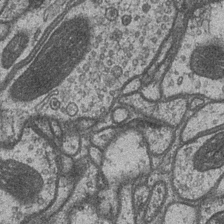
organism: Drosophila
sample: Optic medulla